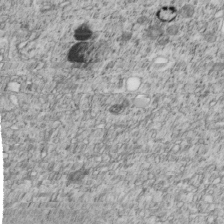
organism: C. elegans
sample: C. elegans embryo early stage